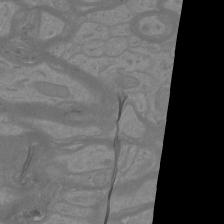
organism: Mouse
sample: Cortical neurons